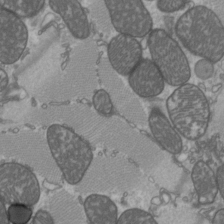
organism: C57BL Mouse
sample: Heart